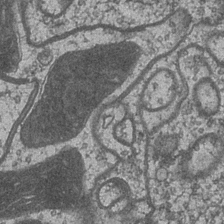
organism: Drosophila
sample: Optic medulla